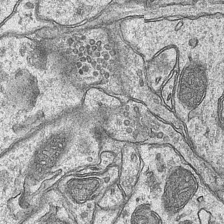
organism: Mouse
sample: CA1 Hippocampus